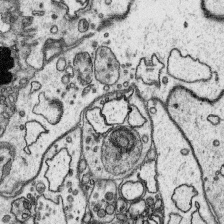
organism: Platynereis dumerilii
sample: Parapodia